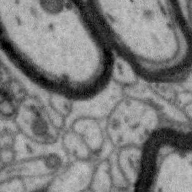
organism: Zebra finch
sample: Brain